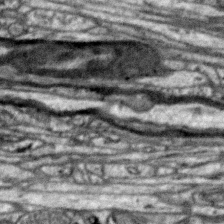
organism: Zebra finch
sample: Brain